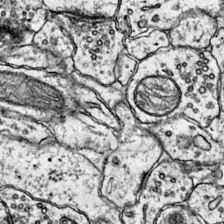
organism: Mouse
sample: Primary visual cortex